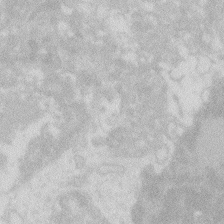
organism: Zebrafish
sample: Macrophage